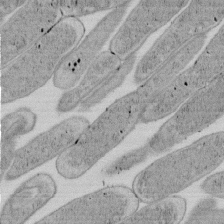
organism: E. coli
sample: Bacterial nucleoid